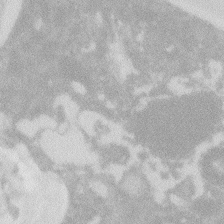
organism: Zebrafish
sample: Macrophage